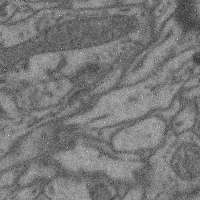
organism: Mouse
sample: Cerebral cortex